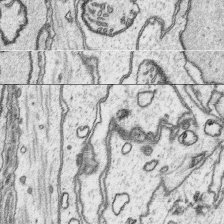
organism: Platynereis dumerilii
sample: Parapodia